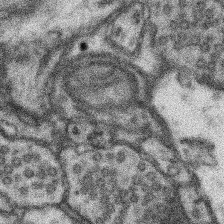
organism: Mouse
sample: Somatosensory cortex neuropil